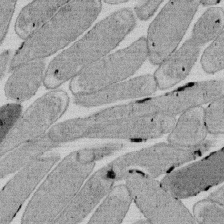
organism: E. coli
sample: Bacterial nucleoid